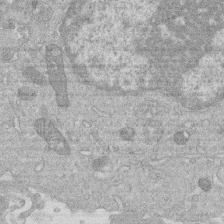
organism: Human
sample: Macrophage cells